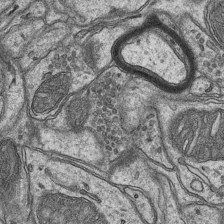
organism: Mouse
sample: CA1 Hippocampus